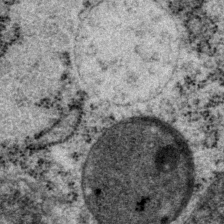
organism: P. pacificus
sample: Pharynx